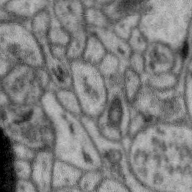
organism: Zebra finch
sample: Brain